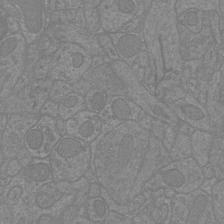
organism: Mouse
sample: Cortical neurons